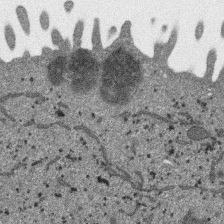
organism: Human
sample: Lung epithelial cells infected with SARS-CoV-2